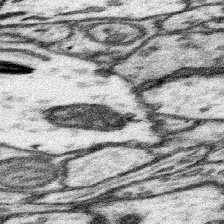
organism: Mouse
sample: Somatosensory cortex neuropil